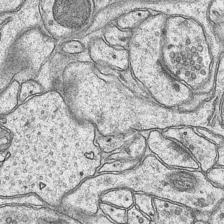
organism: Mouse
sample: CA1 Hippocampus